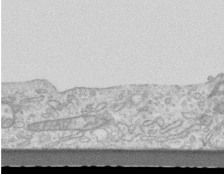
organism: Mouse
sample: Centriole in ependymal cells